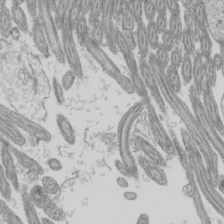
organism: Mouse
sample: Cilia; mouse epididymis